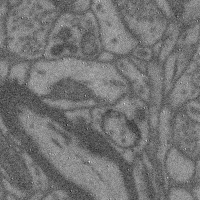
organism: Mouse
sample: Cerebral cortex